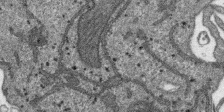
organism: Human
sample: Lung epithelial cells infected with SARS-CoV-2